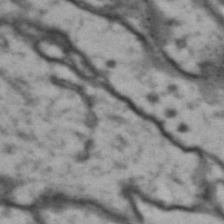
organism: Drosophila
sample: Brain